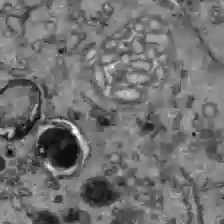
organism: C57BL Mouse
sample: Liver